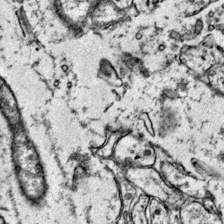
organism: Mouse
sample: Primary visual cortex